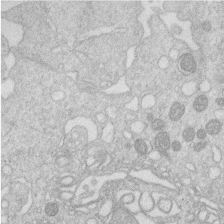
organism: Human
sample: Macrophage cells